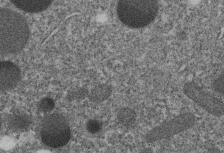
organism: C. elegans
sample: C. elegans embryo early stage